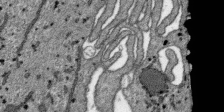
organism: Human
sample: Lung epithelial cells, uninfected (mock) control